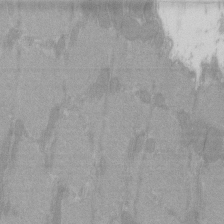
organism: C57BL Mouse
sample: Tibialis anterior muscle cell